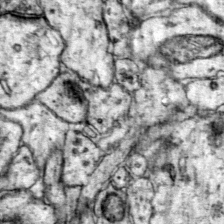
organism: Mouse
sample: Primary visual cortex